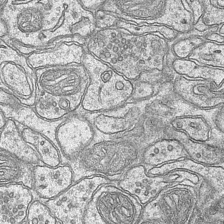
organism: Mouse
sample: CA1 Hippocampus